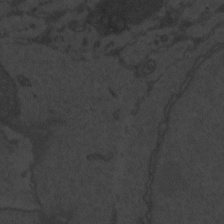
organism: Zebrafish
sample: Macrophage infected with Toxoplasma gondii